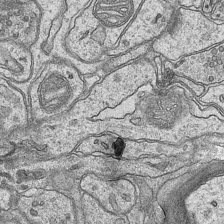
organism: Mouse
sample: CA1 Hippocampus